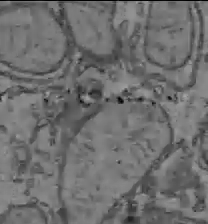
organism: C57BL Mouse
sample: Liver